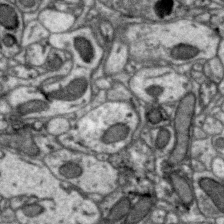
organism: Zebra finch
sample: Brain